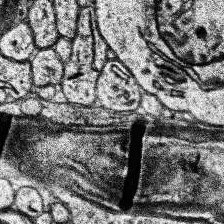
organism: Human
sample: Temporal Lobe